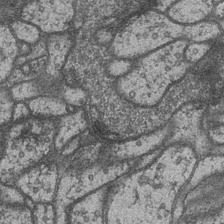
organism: Drosophila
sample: Optic medulla